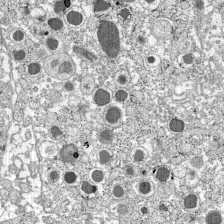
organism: C57BL Mouse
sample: Pancreatic islet